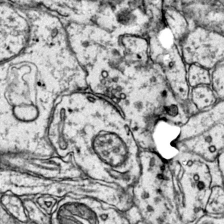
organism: Mouse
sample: Primary visual cortex